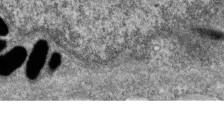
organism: Zebrafish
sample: Cilia; retinal pigment epithelium